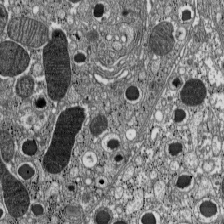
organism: C57BL Mouse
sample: Pancreatic islet